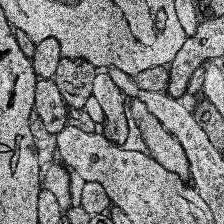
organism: Human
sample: Temporal Lobe